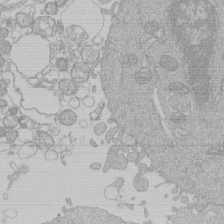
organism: Human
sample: Macrophage cells